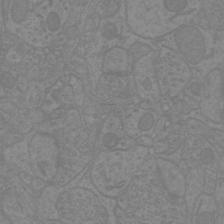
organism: Mouse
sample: Cortical neurons